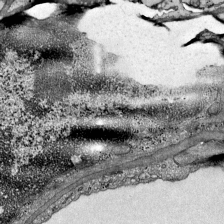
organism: Mouse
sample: Visual Cortex